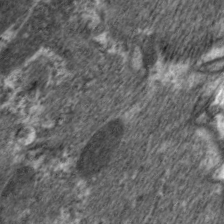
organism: C. elegans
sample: Pharynx